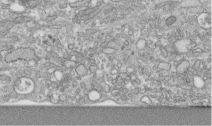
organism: Human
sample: Centriole in RPE cells